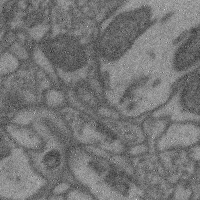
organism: Mouse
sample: Cerebral cortex